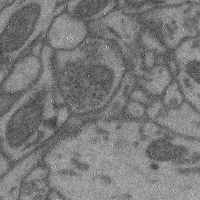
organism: Mouse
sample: Cerebral cortex